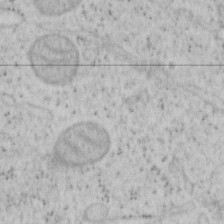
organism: Human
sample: HeLa cells